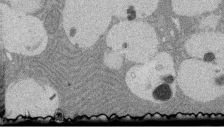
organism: Rat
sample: Salivary granule